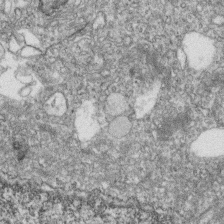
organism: Zebrafish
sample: Cilia; retinal pigment epithelium